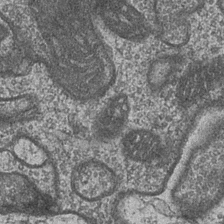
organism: Drosophila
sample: Optic medulla